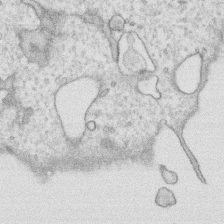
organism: Human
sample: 1205lu cells